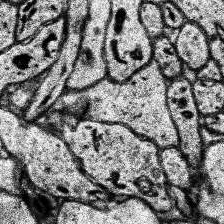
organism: Human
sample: Temporal Lobe